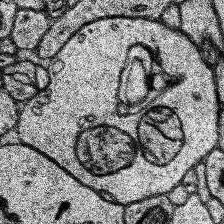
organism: Human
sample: Temporal Lobe